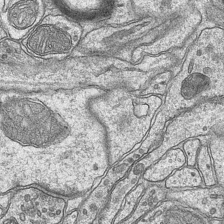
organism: Mouse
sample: CA1 Hippocampus